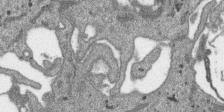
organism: Human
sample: Lung epithelial cells infected with SARS-CoV-2